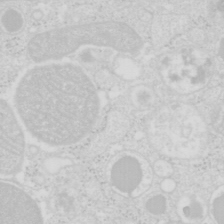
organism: Mouse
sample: Pancreas